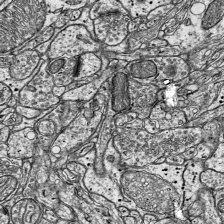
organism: Mouse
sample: Visual Cortex